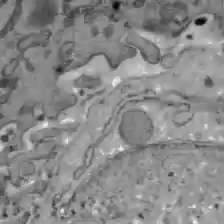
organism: C57BL Mouse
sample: Liver